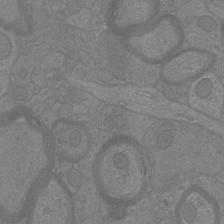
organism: Mouse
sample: Cortical neurons